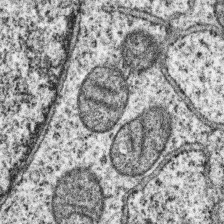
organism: Human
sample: HeLa cells